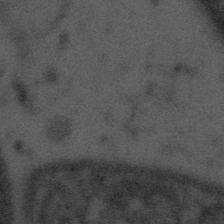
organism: Tuwongella immobilis